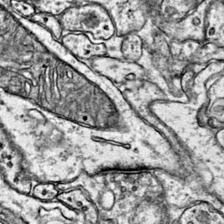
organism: Mouse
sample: Primary visual cortex